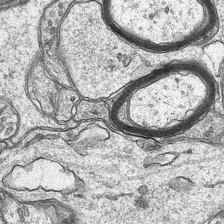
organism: Mouse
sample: CA1 Hippocampus